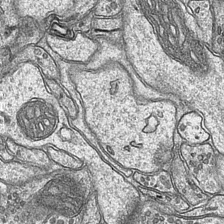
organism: Mouse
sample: CA1 Hippocampus